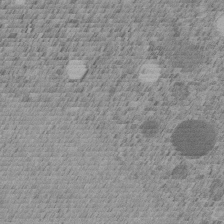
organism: C. elegans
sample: C. elegans embryo early stage